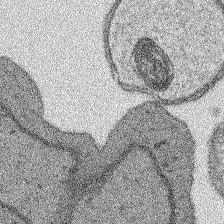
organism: Human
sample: HeLa cells